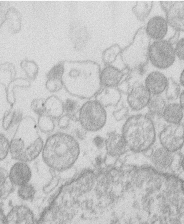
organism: Human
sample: Macrophage cells